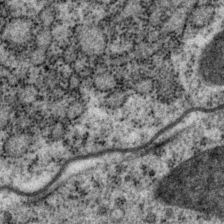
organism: P. pacificus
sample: Pharynx